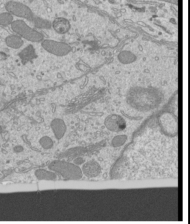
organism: Mouse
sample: Cilia; mouse epididymis